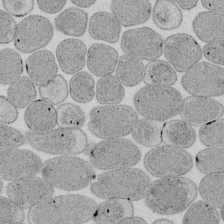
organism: E. coli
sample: Bacterial nucleoid